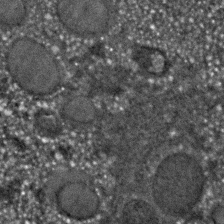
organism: C. elegans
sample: C. elegans embryo